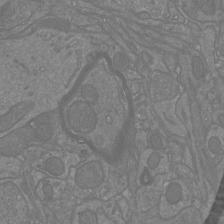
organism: Mouse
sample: Cortical neurons